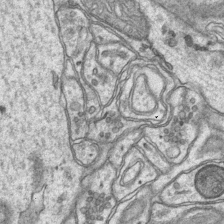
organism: Mouse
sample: CA1 Hippocampus